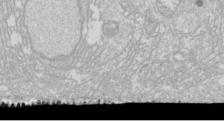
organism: Drosophila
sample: Cell division; meiosis; drosophila spermatocytes